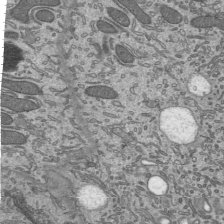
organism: Mouse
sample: Mouse epididymis efferent ductule cilia